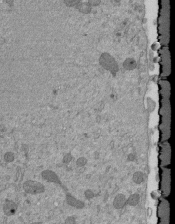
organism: Mouse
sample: ED-1 cell nuclei; centrioles